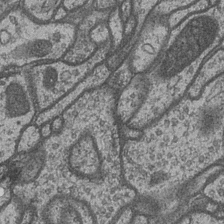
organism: Drosophila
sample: Optic medulla